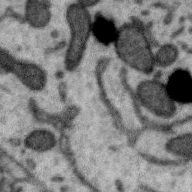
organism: Zebra finch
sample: Brain